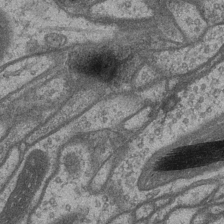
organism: Drosophila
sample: Optic medulla